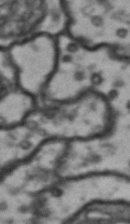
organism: Drosophila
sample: Brain